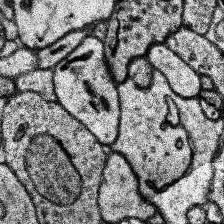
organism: Human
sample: Temporal Lobe